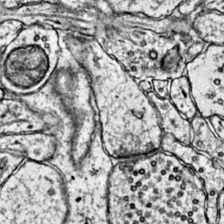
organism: Mouse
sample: Primary visual cortex